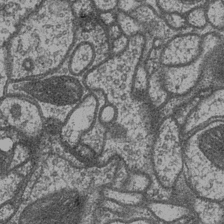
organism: Drosophila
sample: Optic medulla